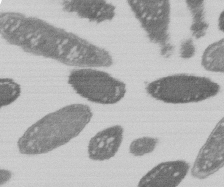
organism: E. coli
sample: Bacterial nucleoid